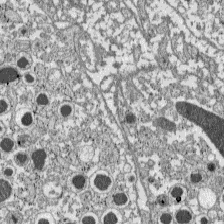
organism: C57BL Mouse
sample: Pancreatic islet